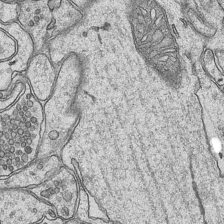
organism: Mouse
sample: CA1 Hippocampus